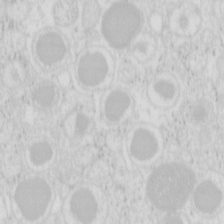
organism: Mouse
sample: Pancreas